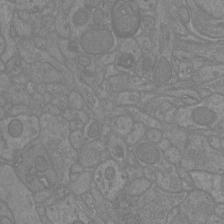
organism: Mouse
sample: Cortical neurons